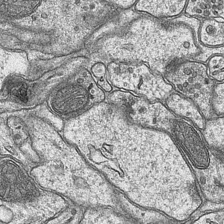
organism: Mouse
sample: CA1 Hippocampus